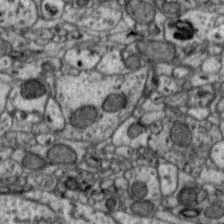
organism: Zebra finch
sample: Brain